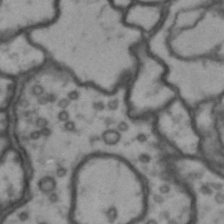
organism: Drosophila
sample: Brain